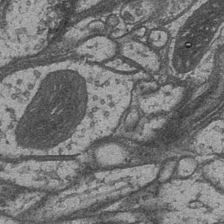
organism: Drosophila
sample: Optic medulla